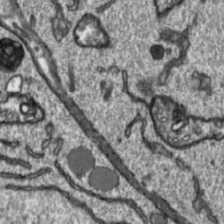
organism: Toxoplasma gondii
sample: Parasites in a vacuole inside a host cell